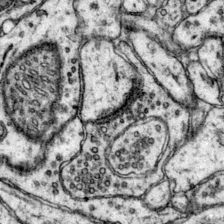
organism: Mouse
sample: Primary visual cortex